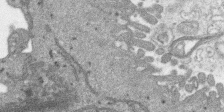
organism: Human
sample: Lung epithelial cells infected with SARS-CoV-2